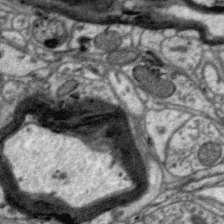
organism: Zebra finch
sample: Brain